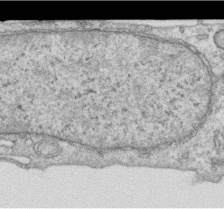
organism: Human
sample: Centriole in RPE cells